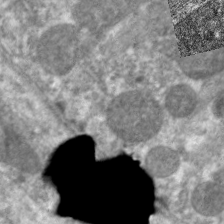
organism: C. elegans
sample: Pharynx